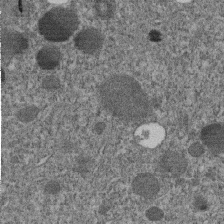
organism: C. elegans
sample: C. elegans embryo early stage